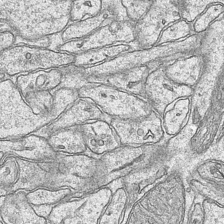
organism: Mouse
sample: CA1 Hippocampus